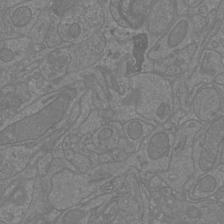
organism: Mouse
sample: Cortical neurons